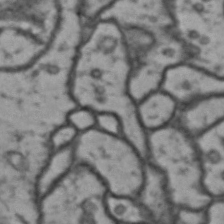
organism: Drosophila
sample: Brain